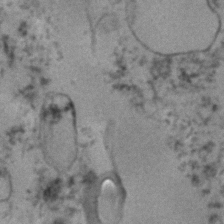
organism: Human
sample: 1205lu cells